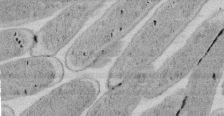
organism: E. coli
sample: Bacterial nucleoid